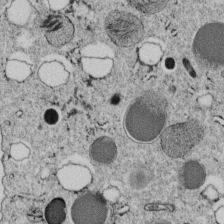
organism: C. elegans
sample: C. elegans embryo early stage